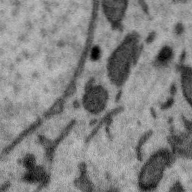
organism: Zebra finch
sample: Brain